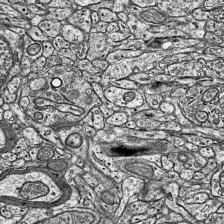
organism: Mouse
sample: Visual Cortex